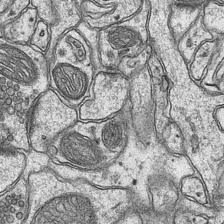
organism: Mouse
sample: CA1 Hippocampus